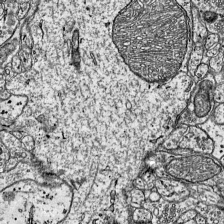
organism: Mouse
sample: Visual Cortex